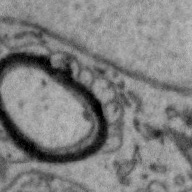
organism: Zebra finch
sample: Brain